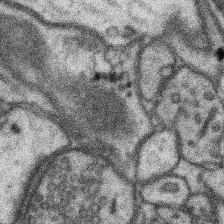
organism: Mouse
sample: Somatosensory cortex neuropil